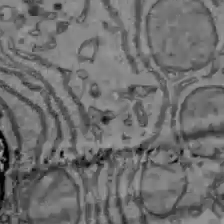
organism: C57BL Mouse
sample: Liver